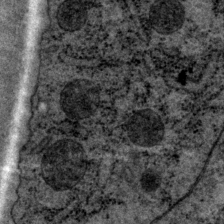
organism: P. pacificus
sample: Pharynx